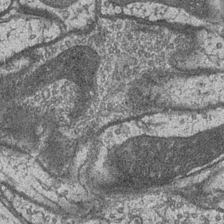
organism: Drosophila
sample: Optic medulla